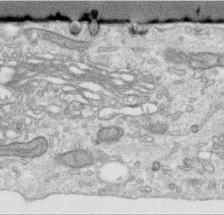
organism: Human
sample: Centriole in RPE cells